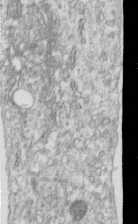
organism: Human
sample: Centriole in RPE cells